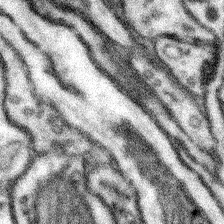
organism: Mouse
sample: Somatosensory cortex neuropil